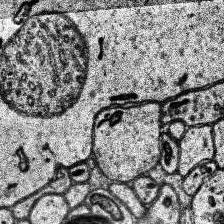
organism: Human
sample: Temporal Lobe